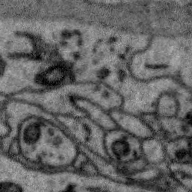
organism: Zebra finch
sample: Brain